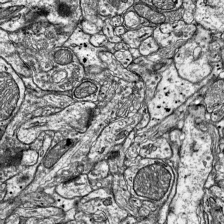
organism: Mouse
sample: Visual Cortex